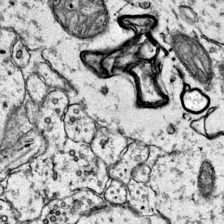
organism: Mouse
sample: Primary visual cortex